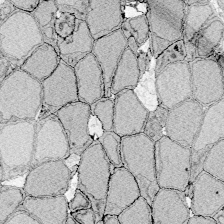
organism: Zebrafish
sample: Whole-Brain